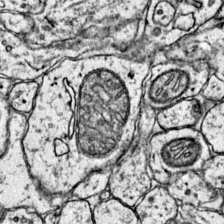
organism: Mouse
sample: Primary visual cortex